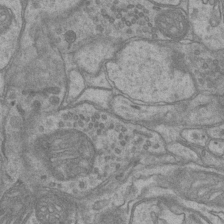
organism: Mouse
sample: CA1 Hippocampus